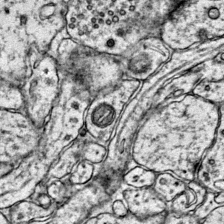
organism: Mouse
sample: Primary visual cortex